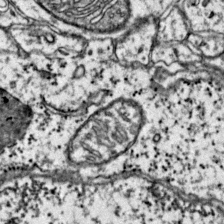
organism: Mouse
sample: Primary visual cortex